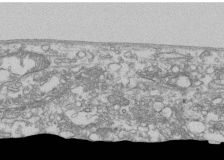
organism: Human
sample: Fibroblast cells